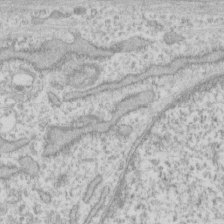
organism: Human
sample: Fibroblast cells